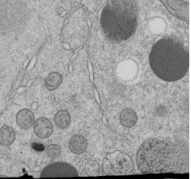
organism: C. elegans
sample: C. elegans embryo early stage